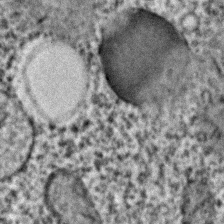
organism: C. elegans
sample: C. elegans embryo